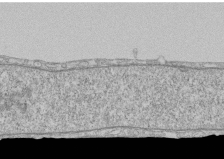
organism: Human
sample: CRL-1474